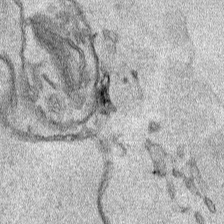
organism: Human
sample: Mitochondria in HCT116 cells